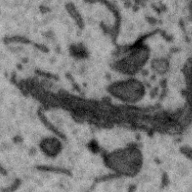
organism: Zebra finch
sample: Brain